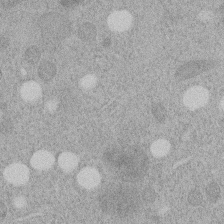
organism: C. elegans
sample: C. elegans embryo early stage